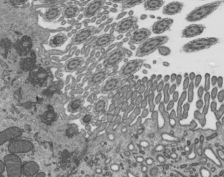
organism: Mouse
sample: Mouse epididymis efferent ductule cilia